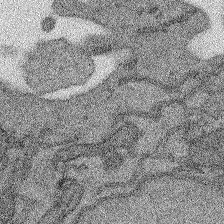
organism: Human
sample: HeLa cells